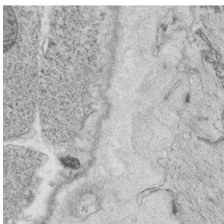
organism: C. elegans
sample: C. elegans oocyte; sperm cells